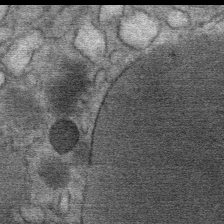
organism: Mouse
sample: Mouse Salivary gland